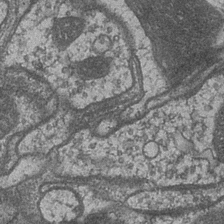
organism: Drosophila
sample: Optic medulla